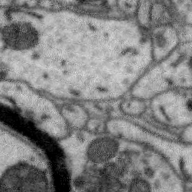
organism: Zebra finch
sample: Brain